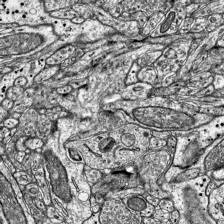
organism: Mouse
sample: Visual Cortex